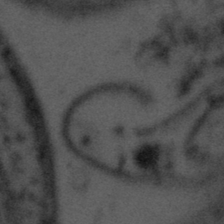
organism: Tuwongella immobilis